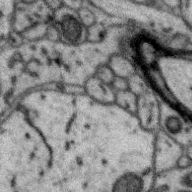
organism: Zebra finch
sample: Brain